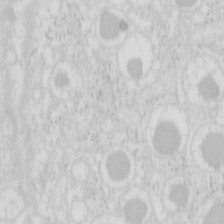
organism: Mouse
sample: Pancreas